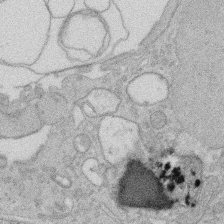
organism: Rat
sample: Salivary granule